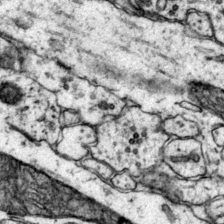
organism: Mouse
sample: Primary visual cortex